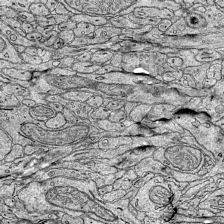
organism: Mouse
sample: Visual Cortex